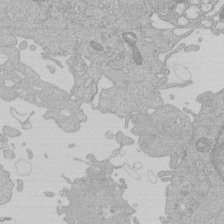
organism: Human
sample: Macrophage cells